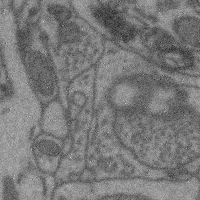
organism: Mouse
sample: Cerebral cortex